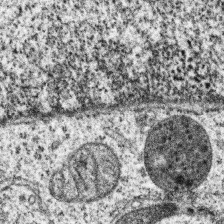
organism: Human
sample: HeLa cells